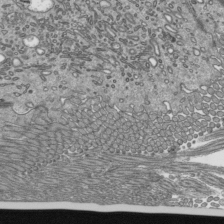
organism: Mouse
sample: Mouse epididymis efferent ductule cilia